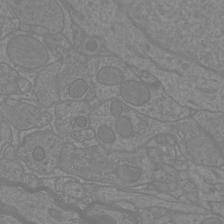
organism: Mouse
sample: Cortical neurons